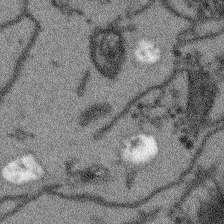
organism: Arabidopsis thaliana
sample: Root tip